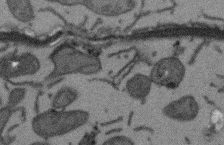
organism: Arabidopsis thaliana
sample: Root tip